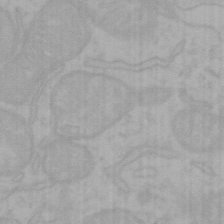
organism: Mouse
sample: Choroid plexus